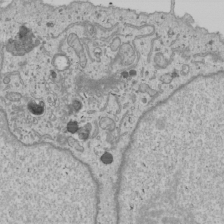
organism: Human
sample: Mitochondria in U2OS cells